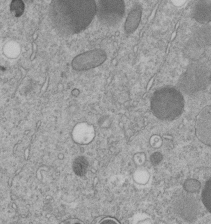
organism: C. elegans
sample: C. elegans embryo early stage